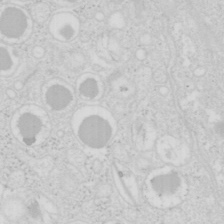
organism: Mouse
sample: Pancreas